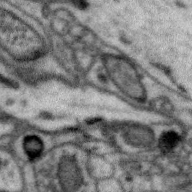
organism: Zebra finch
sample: Brain